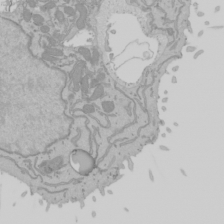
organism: Mouse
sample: Cancer cell death in ED-1 cells